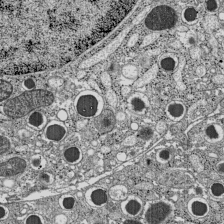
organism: C57BL Mouse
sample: Pancreatic islet